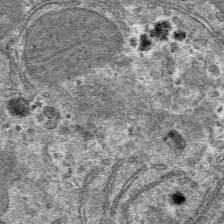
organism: Mouse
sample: Mouse hepatocytes